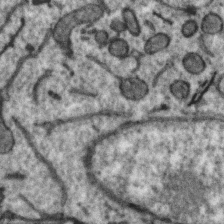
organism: Zebra finch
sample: Brain